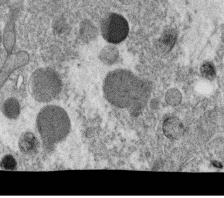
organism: C. elegans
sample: C. elegans oocyte; sperm cells